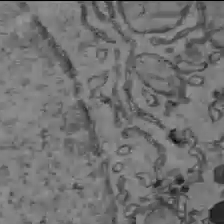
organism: C57BL Mouse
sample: Liver